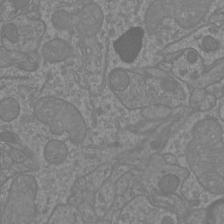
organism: Mouse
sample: Cortical neurons